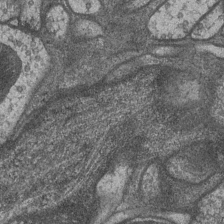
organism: Drosophila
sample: Optic medulla